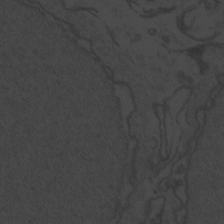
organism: Zebrafish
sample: Macrophage infected with Toxoplasma gondii